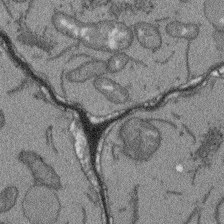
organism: Arabidopsis thaliana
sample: Root tip